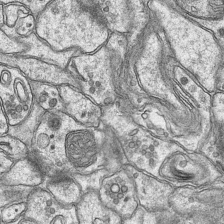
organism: Mouse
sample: CA1 Hippocampus